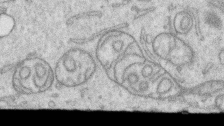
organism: Human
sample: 1205lu cells